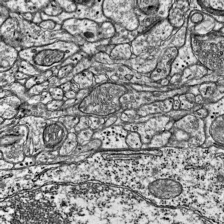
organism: Mouse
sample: Visual Cortex